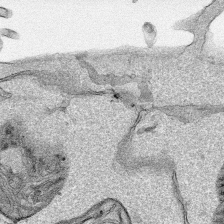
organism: Human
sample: Mitochondria in HCT116 cells